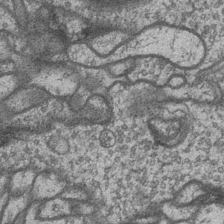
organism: Drosophila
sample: Optic medulla